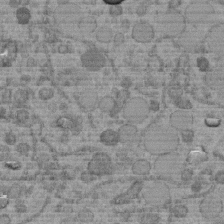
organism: C. elegans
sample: C. elegans embryo early stage